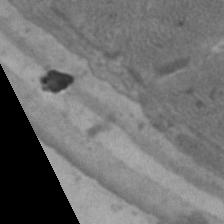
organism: C. elegans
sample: Pharynx